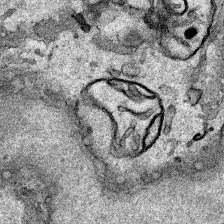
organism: Human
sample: Mitochondria in HCT116 cells